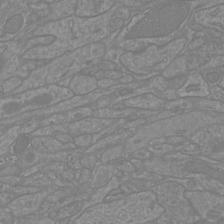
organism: Mouse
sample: Cortical neurons